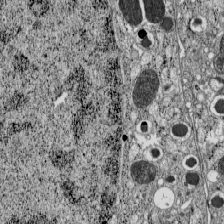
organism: C57BL Mouse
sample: Pancreatic islet